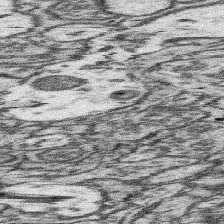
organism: Mouse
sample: Somatosensory cortex neuropil